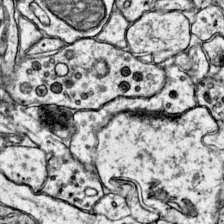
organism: Mouse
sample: Primary visual cortex